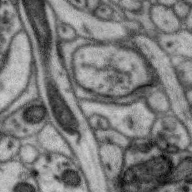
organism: Zebra finch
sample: Brain